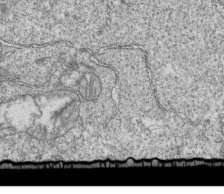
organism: Human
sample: HeLa cell HIV synapse